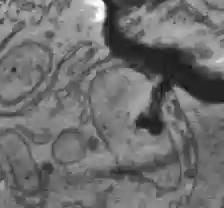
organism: C57BL Mouse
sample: Liver